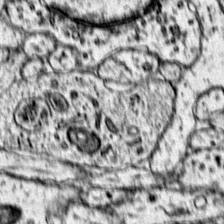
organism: Mouse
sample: Primary visual cortex